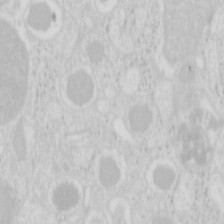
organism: Mouse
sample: Pancreas